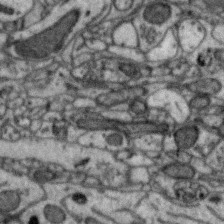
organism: Zebra finch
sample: Brain